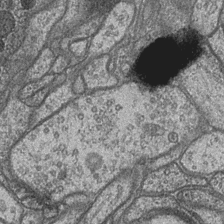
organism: Drosophila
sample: Optic medulla